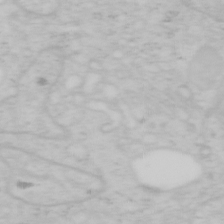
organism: Mouse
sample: OT-I killer T cells with ID8 ovarian cancer cells